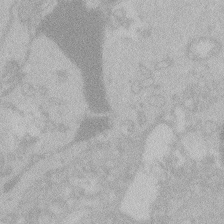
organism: Zebrafish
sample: Macrophage infected with Toxoplasma gondii